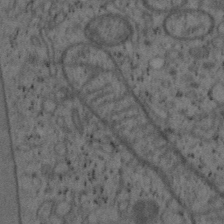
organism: Human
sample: HeLa cells